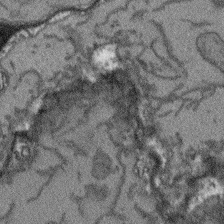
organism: Arabidopsis thaliana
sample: Root tip